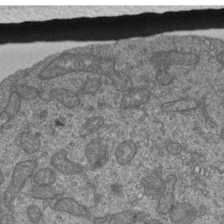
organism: Human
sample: Retinal organoid Rod and Cone cells